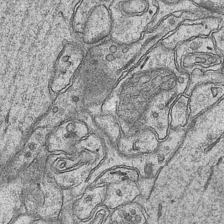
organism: Mouse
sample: CA1 Hippocampus